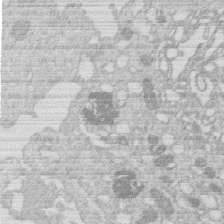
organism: Human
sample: Macrophage cells